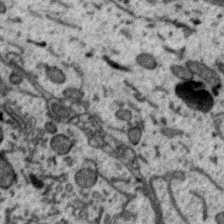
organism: Zebra finch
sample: Brain